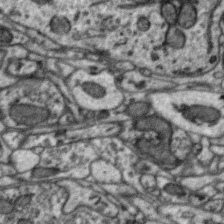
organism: Zebra finch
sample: Brain